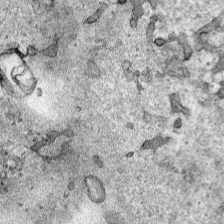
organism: Human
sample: Mitochondria in HCT116 cells